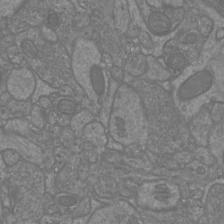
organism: Mouse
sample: Cortical neurons